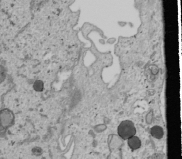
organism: Human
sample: Mitochondria in U2OS cells